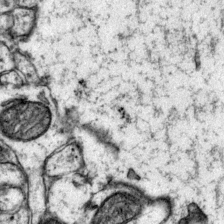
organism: Mouse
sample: Primary visual cortex